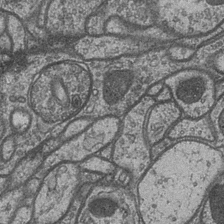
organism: Drosophila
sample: Optic medulla